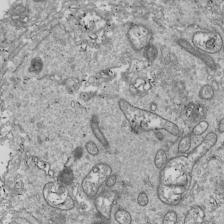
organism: Drosophila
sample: Cell division; meiosis; drosophila spermatocytes